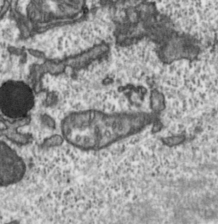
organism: Toxoplasma gondii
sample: Parasites in a vacuole inside a host cell